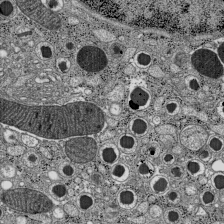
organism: C57BL Mouse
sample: Pancreatic islet